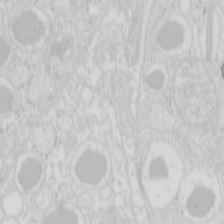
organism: Mouse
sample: Pancreas